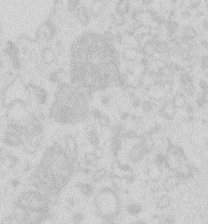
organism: Zebrafish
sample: Macrophage